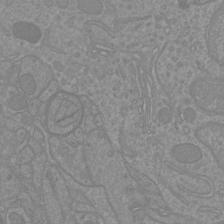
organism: Mouse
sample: Cortical neurons